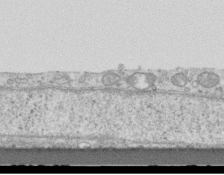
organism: Mouse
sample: Centriole in ependymal cells